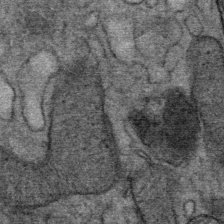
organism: Mouse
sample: Mouse Salivary gland